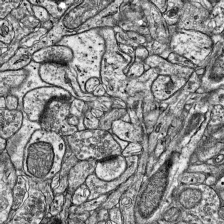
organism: Mouse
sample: Visual Cortex